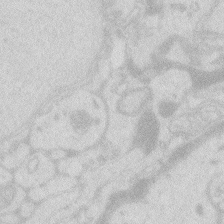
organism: Zebrafish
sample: Macrophage